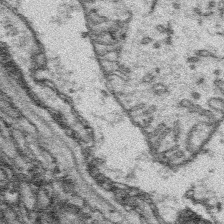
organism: Platynereis dumerilii